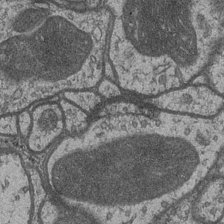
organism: Drosophila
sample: Optic medulla